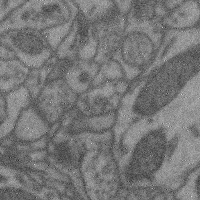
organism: Mouse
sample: Cerebral cortex